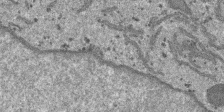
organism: Human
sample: Lung epithelial cells infected with SARS-CoV-2